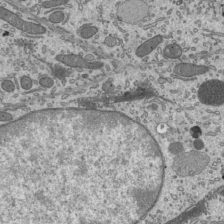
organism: Mouse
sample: Mouse epididymis efferent ductule cilia